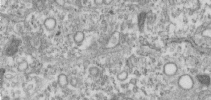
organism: Human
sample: Centriole in RPE cells